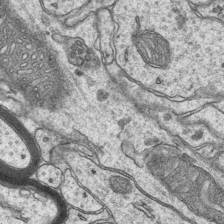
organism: Mouse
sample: CA1 Hippocampus